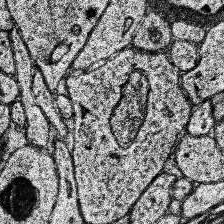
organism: Human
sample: Temporal Lobe